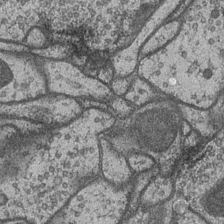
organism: Drosophila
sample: Optic medulla